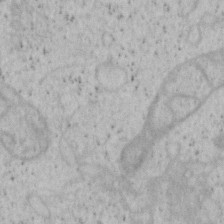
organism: Human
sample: HeLa cells